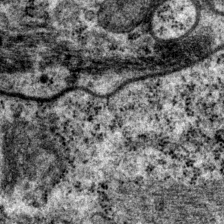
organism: P. pacificus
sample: Pharynx